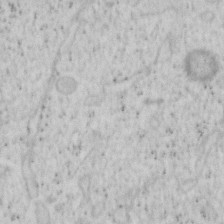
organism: Human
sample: HeLa cells